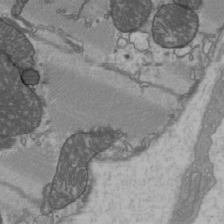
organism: C57BL Mouse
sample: Heart